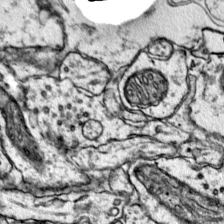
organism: Mouse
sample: Primary visual cortex